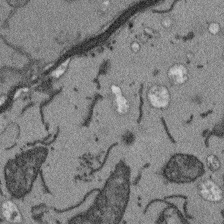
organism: Arabidopsis thaliana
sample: Root tip